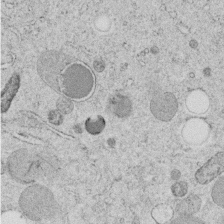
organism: C. elegans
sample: C. elegans embryo early stage